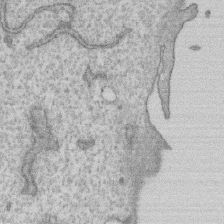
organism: Human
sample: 1205lu cells